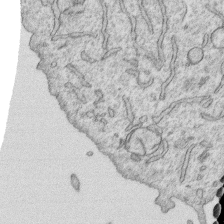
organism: Human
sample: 1205lu cells